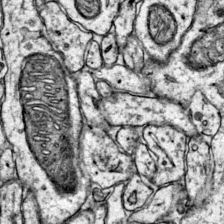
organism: Mouse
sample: Primary visual cortex